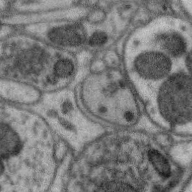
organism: Zebra finch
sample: Brain